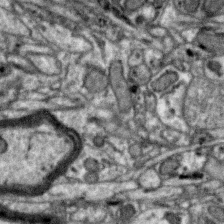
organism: Zebra finch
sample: Brain